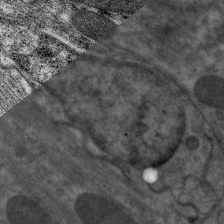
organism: C. elegans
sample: Pharynx